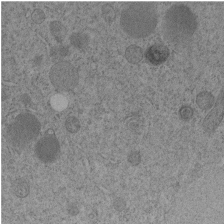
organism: C. elegans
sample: C. elegans embryo early stage